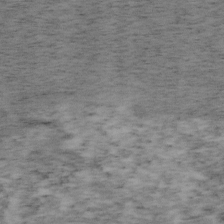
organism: Mouse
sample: OT-I killer T cells with ID8 ovarian cancer cells